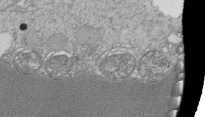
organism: Tetrahymena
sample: Cilia in tetrahymena